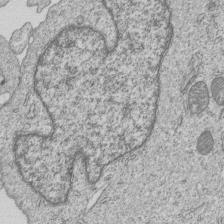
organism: Human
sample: MDA-MB-231 cells